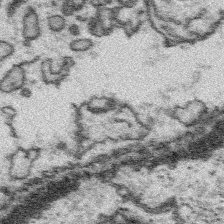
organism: Platynereis dumerilii